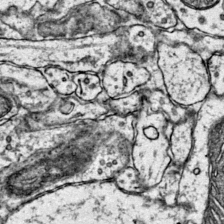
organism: Mouse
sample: Primary visual cortex